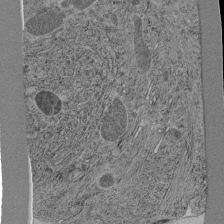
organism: C. elegans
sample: C. elegans pharynx